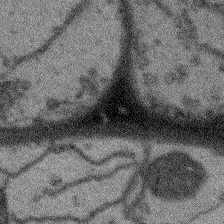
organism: Arabidopsis thaliana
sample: Root tip